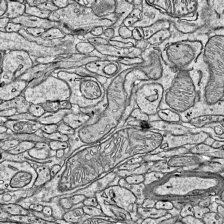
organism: Mouse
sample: Visual Cortex